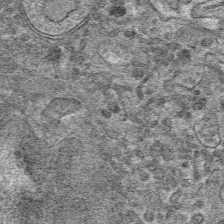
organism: Mouse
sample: Mouse hepatocytes